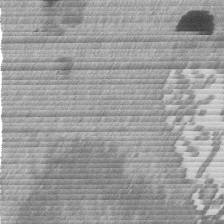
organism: Mouse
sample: Dividing mouse embryo 1 cell stage